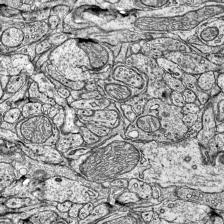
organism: Mouse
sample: Visual Cortex